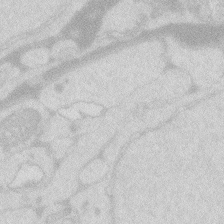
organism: Zebrafish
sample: Macrophage